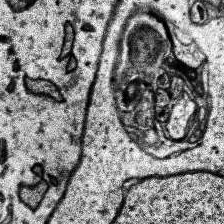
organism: Human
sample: Temporal Lobe